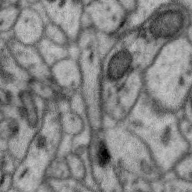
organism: Zebra finch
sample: Brain